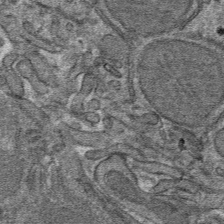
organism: Mouse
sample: Mouse hepatocytes